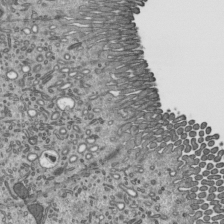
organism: Mouse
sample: Mouse epididymis efferent ductule cilia